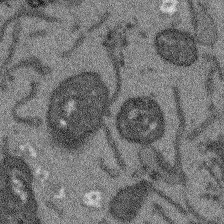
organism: Arabidopsis thaliana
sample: Root tip